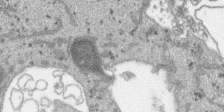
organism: Human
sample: Lung epithelial cells infected with SARS-CoV-2